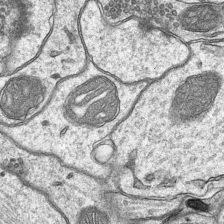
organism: Mouse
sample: CA1 Hippocampus